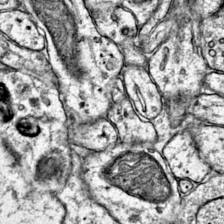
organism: Mouse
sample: Primary visual cortex